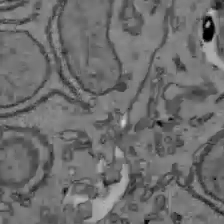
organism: C57BL Mouse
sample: Liver